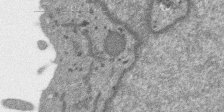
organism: Human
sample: Lung epithelial cells infected with SARS-CoV-2